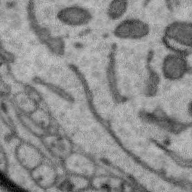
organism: Zebra finch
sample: Brain